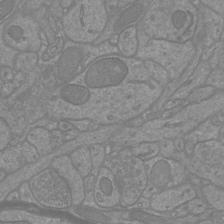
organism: Mouse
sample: Cortical neurons